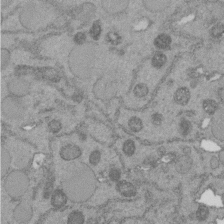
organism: C. elegans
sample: C. elegans embryo early stage